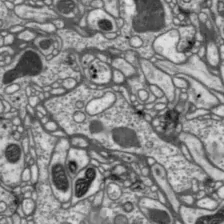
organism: Drosophila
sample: Protocerebral bridge